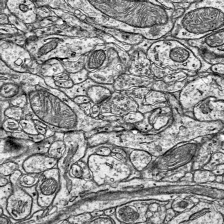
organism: Mouse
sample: Visual Cortex